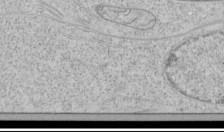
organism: Human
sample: Mitochondria in HCT116 cells